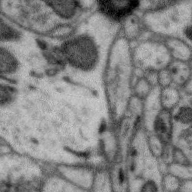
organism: Zebra finch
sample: Brain